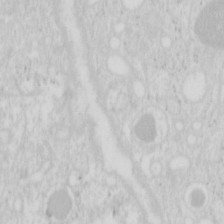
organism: Mouse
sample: Pancreas